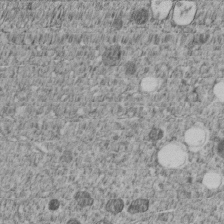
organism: C. elegans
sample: C. elegans embryo early stage